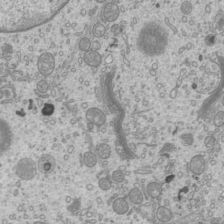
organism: Mouse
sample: Cilia; mouse epididymis